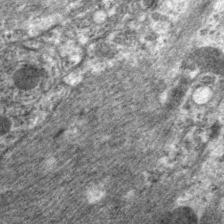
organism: C. elegans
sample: Pharynx